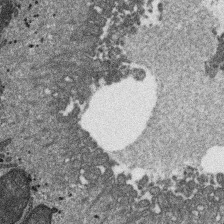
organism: Human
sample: Lung epithelial cells infected with SARS-CoV-2